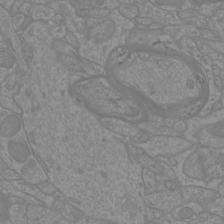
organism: Mouse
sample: Cortical neurons